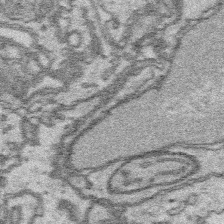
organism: Platynereis dumerilii